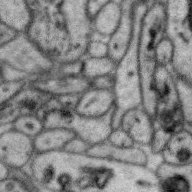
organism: Zebra finch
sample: Brain